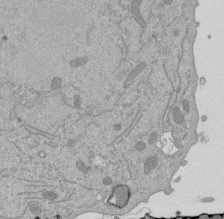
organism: Mouse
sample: ED-1 cell nuclei; centrioles